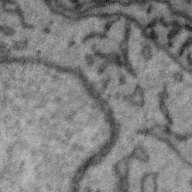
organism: Zebra finch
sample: Brain